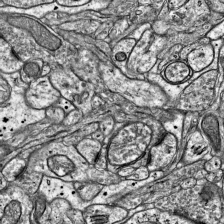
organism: Mouse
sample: Visual Cortex